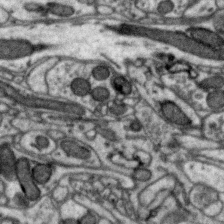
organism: Zebra finch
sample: Brain